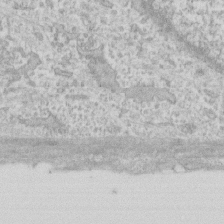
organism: Human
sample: Fibroblast cells